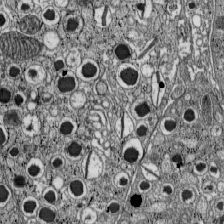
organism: C57BL Mouse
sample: Pancreatic islet